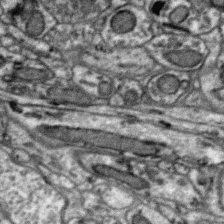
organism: Zebra finch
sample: Brain